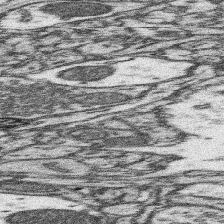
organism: Mouse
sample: Somatosensory cortex neuropil